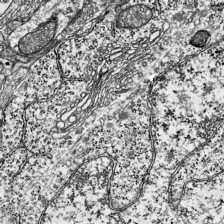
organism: Mouse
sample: Visual Cortex